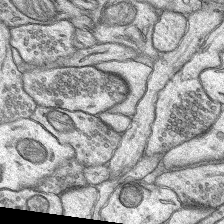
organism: Rat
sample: Hippocampus